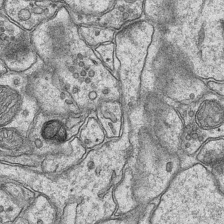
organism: Mouse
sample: CA1 Hippocampus